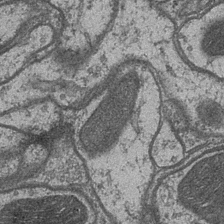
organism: Drosophila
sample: Optic medulla